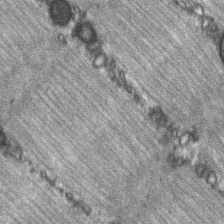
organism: C57BL Mouse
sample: Soleus